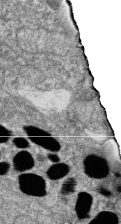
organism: Zebrafish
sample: Cilia; retinal pigment epithelium